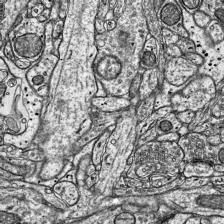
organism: Mouse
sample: Visual Cortex